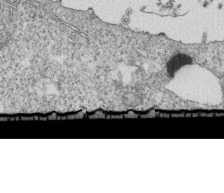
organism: Human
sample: HeLa cell HIV synapse